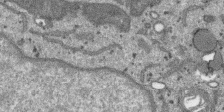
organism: Human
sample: Lung epithelial cells infected with SARS-CoV-2